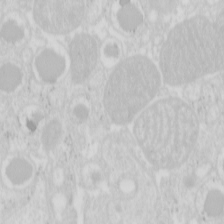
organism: Mouse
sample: Pancreas